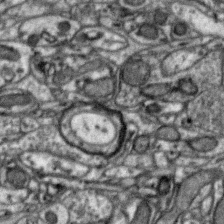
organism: Zebra finch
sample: Brain